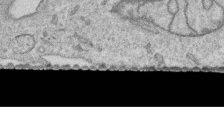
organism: Human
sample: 1205lu cells